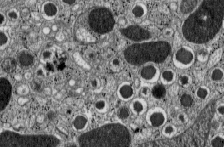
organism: C57BL Mouse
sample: Pancreatic islet